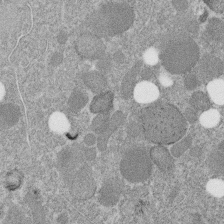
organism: C. elegans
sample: C. elegans embryo early stage